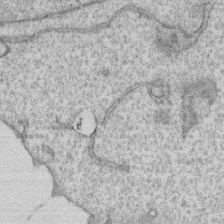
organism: Human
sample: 1205lu cells